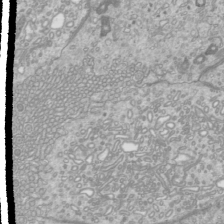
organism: Mouse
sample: Cilia; mouse epididymis